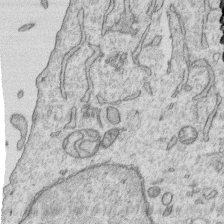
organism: Human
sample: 1205lu cells